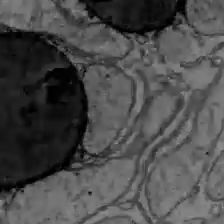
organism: C57BL Mouse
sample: Liver